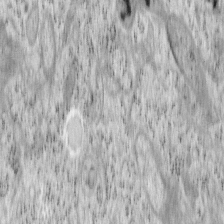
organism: Human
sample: HeLa cells